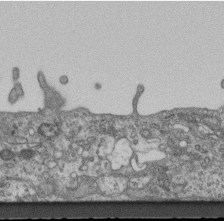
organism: Mouse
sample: Centriole in ependymal cells